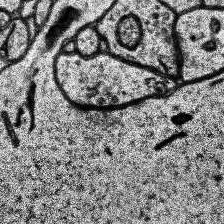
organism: Human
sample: Temporal Lobe